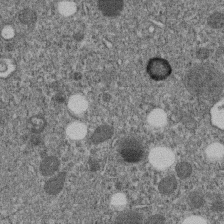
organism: C. elegans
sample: C. elegans embryo early stage